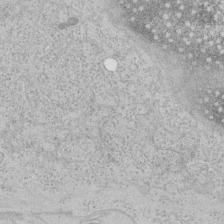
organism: Human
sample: Mitochondria in HCT116 cells